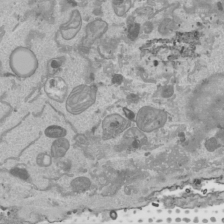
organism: Human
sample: Mitochondria in HCT116 cells